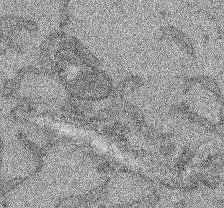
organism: Human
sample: HeLa cells